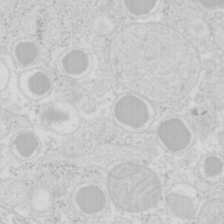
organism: Mouse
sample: Pancreas